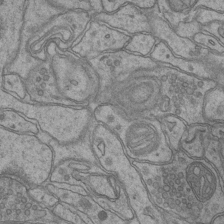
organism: Mouse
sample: CA1 Hippocampus